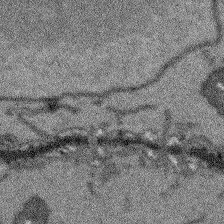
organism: Arabidopsis thaliana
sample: Root tip